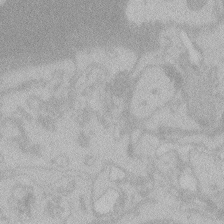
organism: Zebrafish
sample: Macrophage infected with Toxoplasma gondii